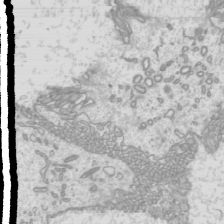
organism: Mouse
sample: Cilia; mouse epididymis